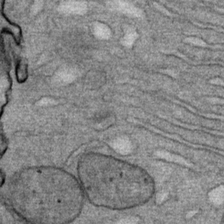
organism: Mouse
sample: Mouse Salivary gland